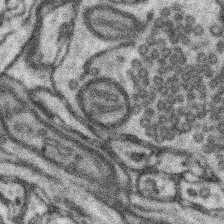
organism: Mouse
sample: Somatosensory cortex neuropil